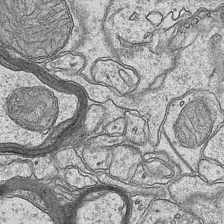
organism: Mouse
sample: CA1 Hippocampus